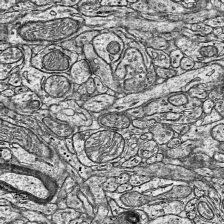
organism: Mouse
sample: Visual Cortex